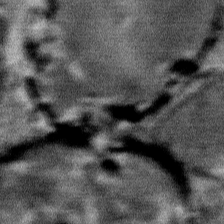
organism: Mouse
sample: Mouse Salivary gland